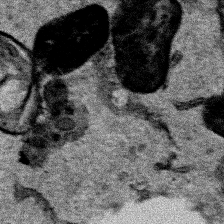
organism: Human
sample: Mitochondria in HCT116 cells